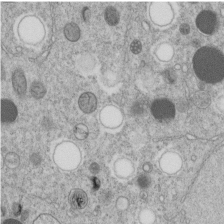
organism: C. elegans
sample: C. elegans embryo early stage